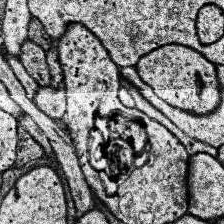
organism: Human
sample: Temporal Lobe